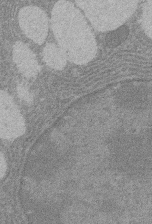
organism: Rat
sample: Salivary granule